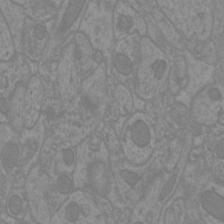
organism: Mouse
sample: Cortical neurons